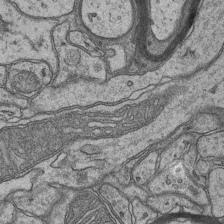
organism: Mouse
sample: CA1 Hippocampus